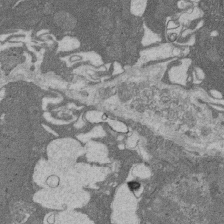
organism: Rat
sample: Salivary granule